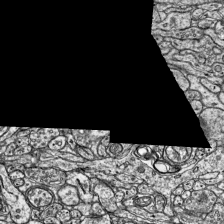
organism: Mouse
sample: Visual Cortex